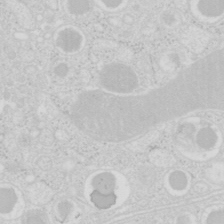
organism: Mouse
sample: Pancreas